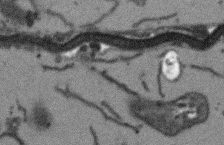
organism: Arabidopsis thaliana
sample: Root tip